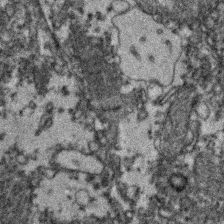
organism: Zebrafish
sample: Zebrafish embryo